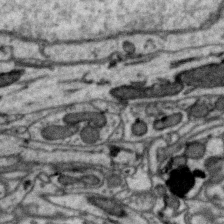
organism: Zebra finch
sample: Brain